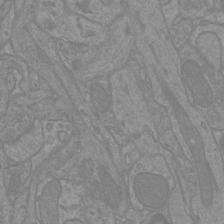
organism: Mouse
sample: Cortical neurons